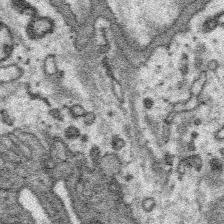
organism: Platynereis dumerilii